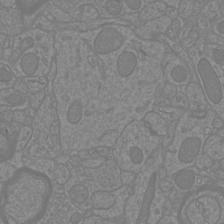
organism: Mouse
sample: Cortical neurons